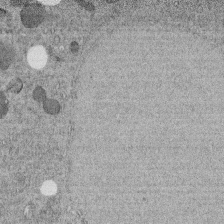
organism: C. elegans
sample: C. elegans embryo early stage